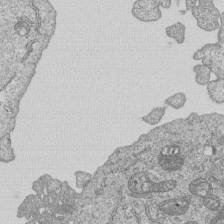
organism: Human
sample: MDA-MB-231 cells